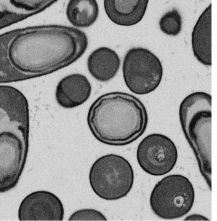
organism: B. subtilis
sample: Bacterial spore